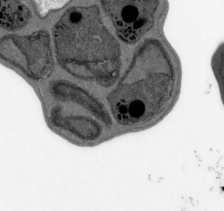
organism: Plasmodium falciparum